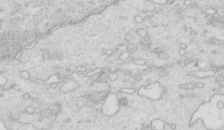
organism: Mouse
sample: Multiciliated cells